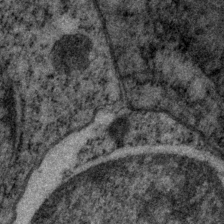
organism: P. pacificus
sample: Pharynx